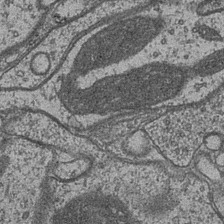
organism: Drosophila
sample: Optic medulla